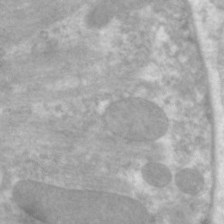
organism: C. elegans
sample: Pharynx